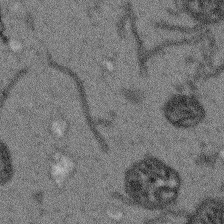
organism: Arabidopsis thaliana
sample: Root tip